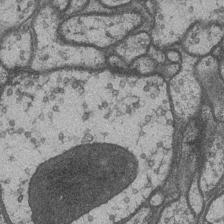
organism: Drosophila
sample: Optic medulla